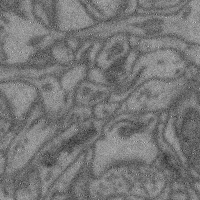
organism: Mouse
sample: Cerebral cortex